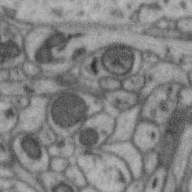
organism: Zebra finch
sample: Brain